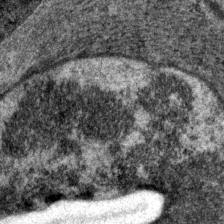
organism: P. pacificus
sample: Pharynx